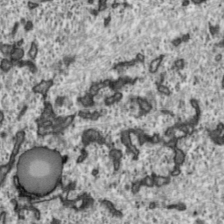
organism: Toxoplasma gondii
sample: Parasites in a vacuole inside a host cell